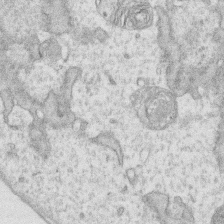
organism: Human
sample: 1205lu cells